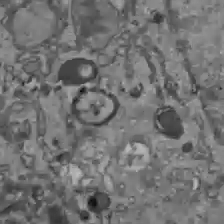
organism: C57BL Mouse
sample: Liver